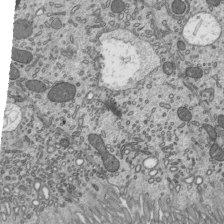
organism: Mouse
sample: Mouse epididymis efferent ductule cilia